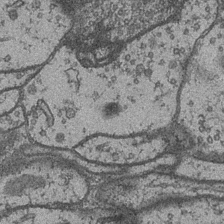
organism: Drosophila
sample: Optic medulla